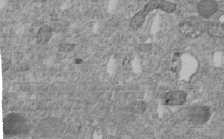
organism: C. elegans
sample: C. elegans embryo early stage